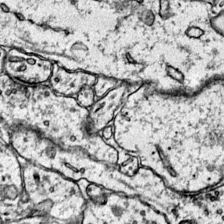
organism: Mouse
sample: Primary visual cortex